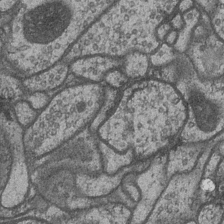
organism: Drosophila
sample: Optic medulla